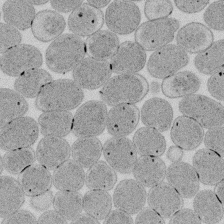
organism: E. coli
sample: Bacterial nucleoid